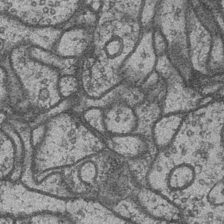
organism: Drosophila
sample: Optic medulla